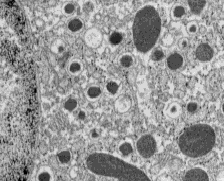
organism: C57BL Mouse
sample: Pancreatic islet